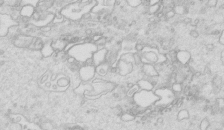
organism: Mouse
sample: Multiciliated cells